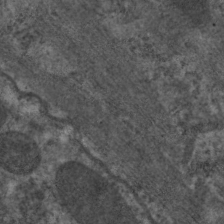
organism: C. elegans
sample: Pharynx